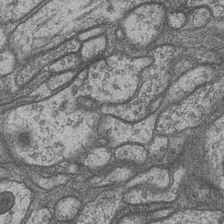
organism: Drosophila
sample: Optic medulla